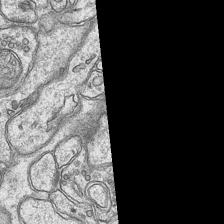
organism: Mouse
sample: CA1 Hippocampus